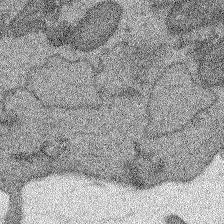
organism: Human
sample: HeLa cells